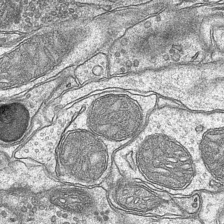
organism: Mouse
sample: CA1 Hippocampus